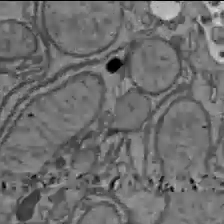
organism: C57BL Mouse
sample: Liver